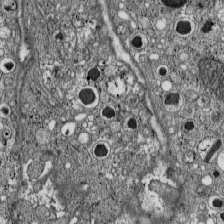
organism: C57BL Mouse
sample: Pancreatic islet